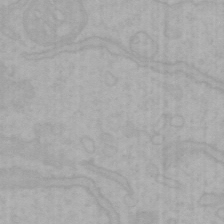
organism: Mouse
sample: Choroid plexus